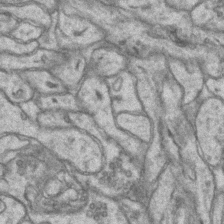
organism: Mouse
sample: CA1 Hippocampus